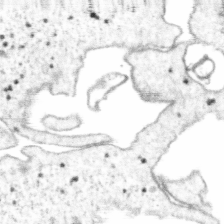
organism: Human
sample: HeLa cells